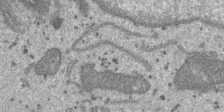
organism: Human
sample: Lung epithelial cells infected with SARS-CoV-2